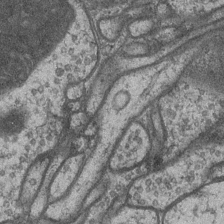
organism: Drosophila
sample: Optic medulla